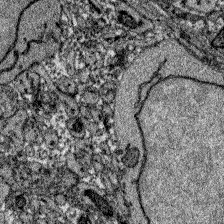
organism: Zebrafish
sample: Larval olfactory bulb